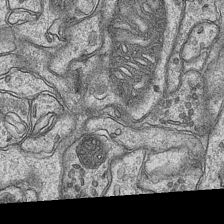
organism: Mouse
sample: CA1 Hippocampus